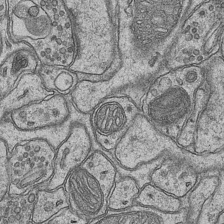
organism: Mouse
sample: CA1 Hippocampus